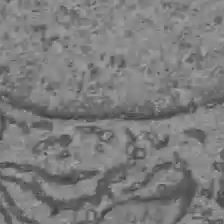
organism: C57BL Mouse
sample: Liver